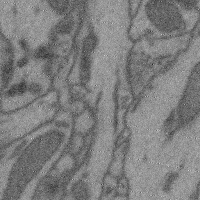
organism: Mouse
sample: Cerebral cortex